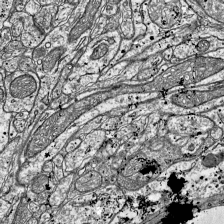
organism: Mouse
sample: Visual Cortex